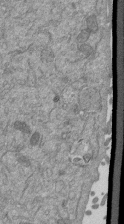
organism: Mouse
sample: ED-1 cell nuclei; centrioles